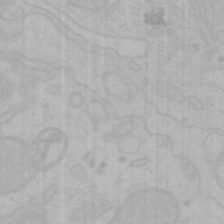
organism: Mouse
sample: Choroid plexus